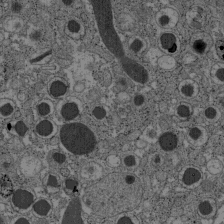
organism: C57BL Mouse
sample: Pancreatic islet